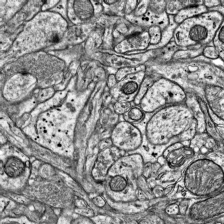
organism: Mouse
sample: Visual Cortex